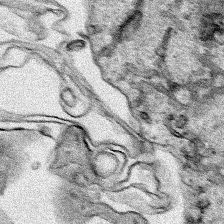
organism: Human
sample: Mitochondria in HCT116 cells